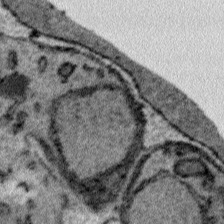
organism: Plasmodium falciparum